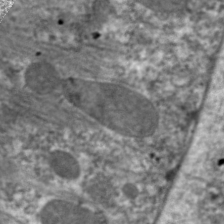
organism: C. elegans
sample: Pharynx